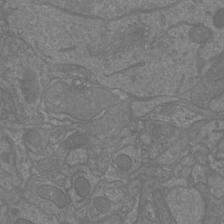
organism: Mouse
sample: Cortical neurons